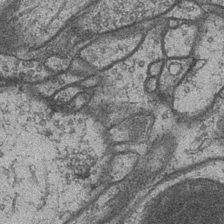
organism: Drosophila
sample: Optic medulla